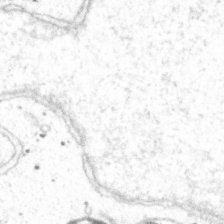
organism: Human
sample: HeLa cells